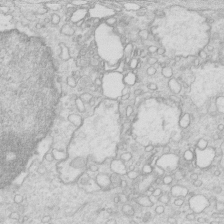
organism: Mouse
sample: Multiciliated cells